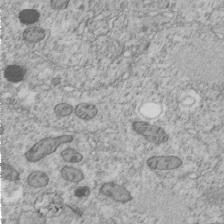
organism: C. elegans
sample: C. elegans embryo early stage